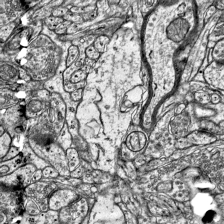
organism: Mouse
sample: Visual Cortex